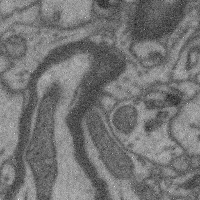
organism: Mouse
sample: Cerebral cortex